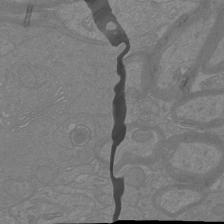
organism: Mouse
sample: Cortical neurons